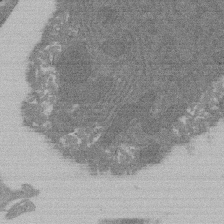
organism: Rat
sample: Salivary granule